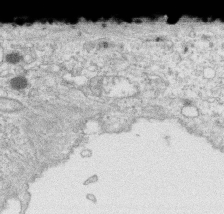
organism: Human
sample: HeLa cell HIV synapse